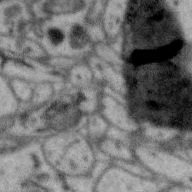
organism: Zebra finch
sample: Brain